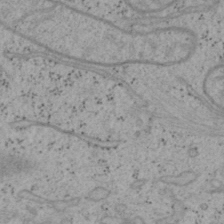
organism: Human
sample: HeLa cells